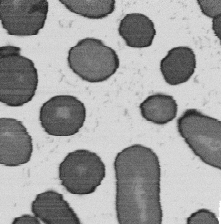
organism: B. subtilis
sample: Bacterial spore